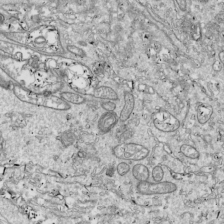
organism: Drosophila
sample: Cell division; meiosis; drosophila spermatocytes